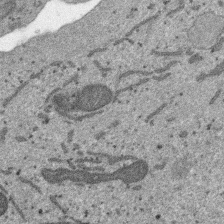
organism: Human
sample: Lung epithelial cells infected with SARS-CoV-2